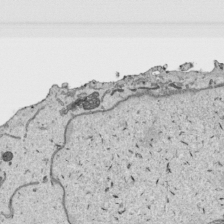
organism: Human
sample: Mitochondria in HCT116 cells